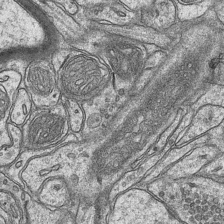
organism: Mouse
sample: CA1 Hippocampus